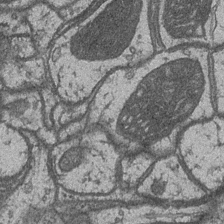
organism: Drosophila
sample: Optic medulla